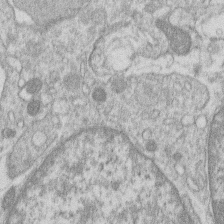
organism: Human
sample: Macrophage cells